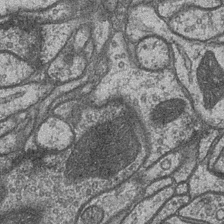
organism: Drosophila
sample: Optic medulla